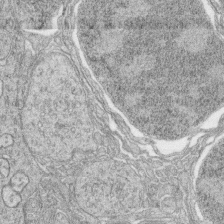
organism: Zebrafish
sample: synaptic ribbons in rod cells and cone cells